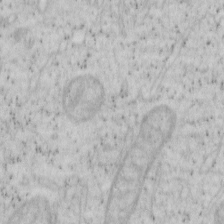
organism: Human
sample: HeLa cells